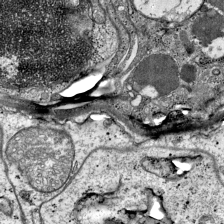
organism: Mouse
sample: Visual Cortex